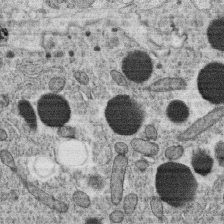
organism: C. elegans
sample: C. elegans oocyte; sperm cells